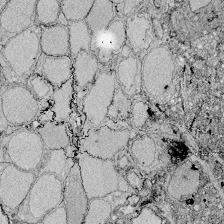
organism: Zebrafish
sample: Whole-Brain